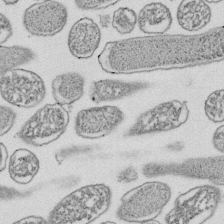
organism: E. coli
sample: Bacterial nucleoid